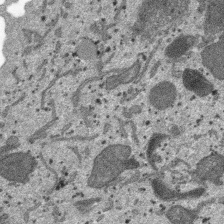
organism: Human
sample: Lung epithelial cells infected with SARS-CoV-2